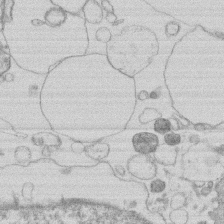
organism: Human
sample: Macrophage cells